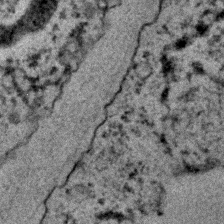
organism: C. elegans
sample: C. elegans embryo